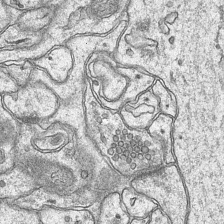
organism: Mouse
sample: CA1 Hippocampus